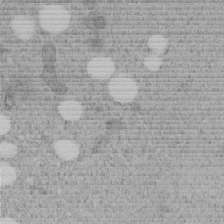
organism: C. elegans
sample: C. elegans embryo early stage